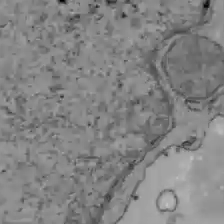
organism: C57BL Mouse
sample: Liver